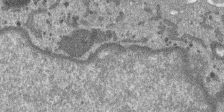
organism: Human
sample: Lung epithelial cells infected with SARS-CoV-2